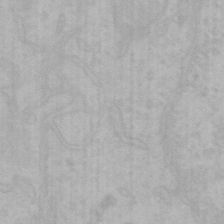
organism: Mouse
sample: Choroid plexus